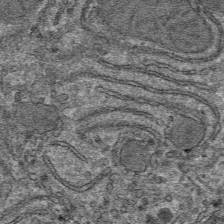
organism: Mouse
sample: Mouse hepatocytes